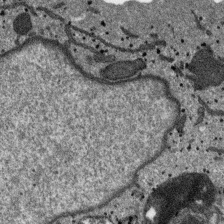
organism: Human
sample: Lung epithelial cells, uninfected (mock) control